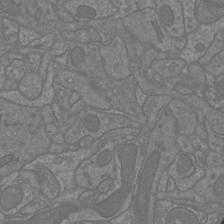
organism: Mouse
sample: Cortical neurons